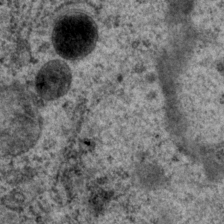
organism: P. pacificus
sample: Pharynx